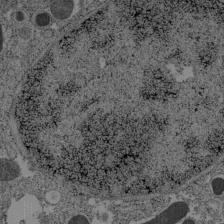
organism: C57BL Mouse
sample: Pancreatic islet